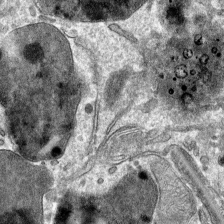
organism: Mouse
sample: Mouse hepatocytes